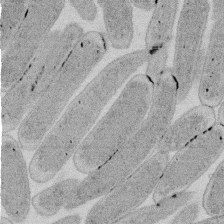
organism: E. coli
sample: Bacterial nucleoid